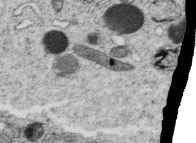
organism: C. elegans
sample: C. elegans oocyte; sperm cells